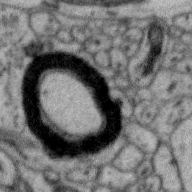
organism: Zebra finch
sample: Brain